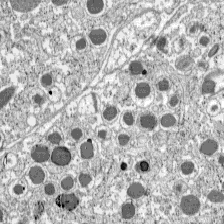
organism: C57BL Mouse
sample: Pancreatic islet